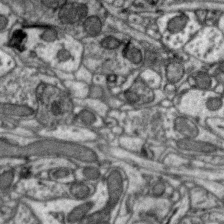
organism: Zebra finch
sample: Brain